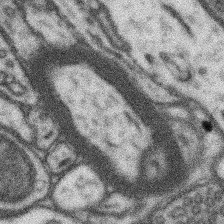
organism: Mouse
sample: Somatosensory cortex neuropil